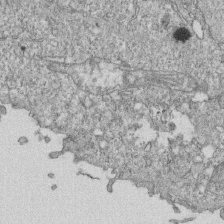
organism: Human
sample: HeLa cell HIV synapse